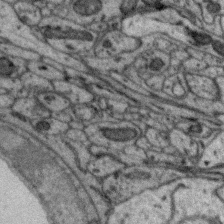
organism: Zebra finch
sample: Brain